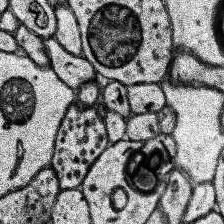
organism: Human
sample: Temporal Lobe